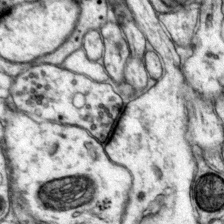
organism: Mouse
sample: Primary visual cortex